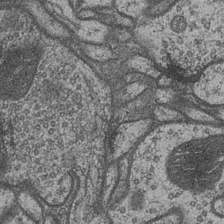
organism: Drosophila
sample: Optic medulla